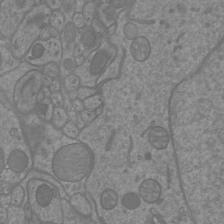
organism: Mouse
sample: Cortical neurons